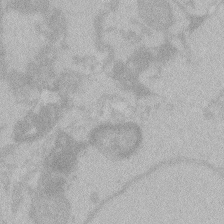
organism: Zebrafish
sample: Macrophage infected with Toxoplasma gondii